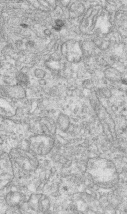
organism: Human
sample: HeLa cell HIV synapse